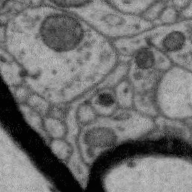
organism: Zebra finch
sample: Brain